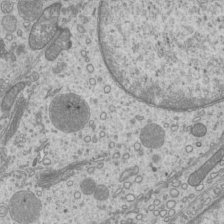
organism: Mouse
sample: Cilia; mouse epididymis